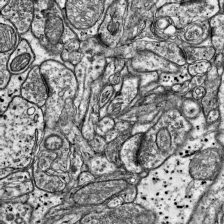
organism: Mouse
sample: Visual Cortex